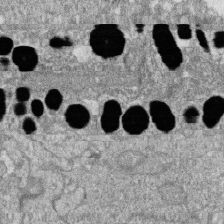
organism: Zebrafish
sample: Cilia; retinal pigment epithelium